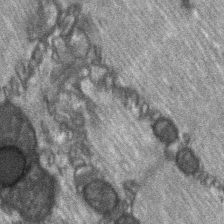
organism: C57BL Mouse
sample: Soleus